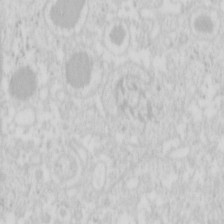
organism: Mouse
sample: Pancreas